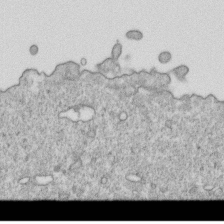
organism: Mouse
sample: Activated OT-1 CD8+ T cells